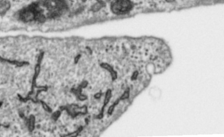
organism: Toxoplasma gondii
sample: Parasites in a vacuole inside a host cell